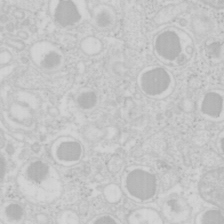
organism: Mouse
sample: Pancreas